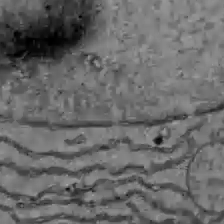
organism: C57BL Mouse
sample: Liver